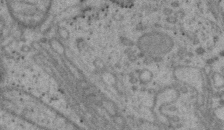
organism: Human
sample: HeLa cells